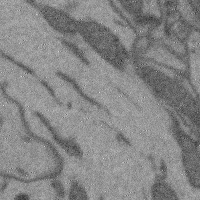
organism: Mouse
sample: Cerebral cortex